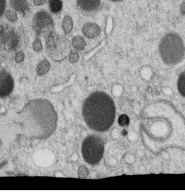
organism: C. elegans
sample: C. elegans oocyte; sperm cells